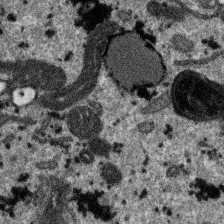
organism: Human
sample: Lung epithelial cells infected with SARS-CoV-2